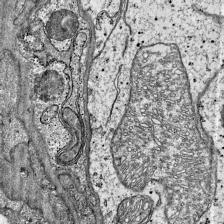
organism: Mouse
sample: Visual Cortex